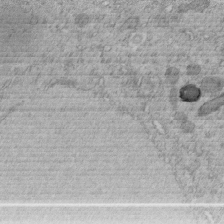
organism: C. elegans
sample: C. elegans embryo early stage